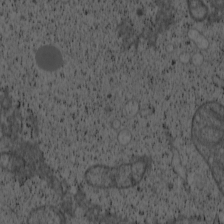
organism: African green monkey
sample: COS-7 cells